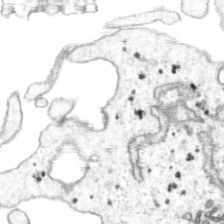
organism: Human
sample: HeLa cells